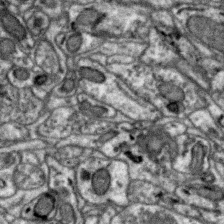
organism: Zebra finch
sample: Brain